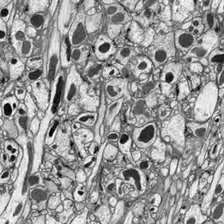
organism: Drosophila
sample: Optic lobe